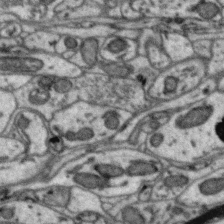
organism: Zebra finch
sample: Brain